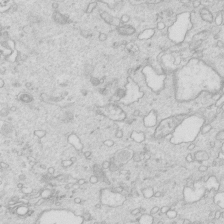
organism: Mouse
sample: Multiciliated cells